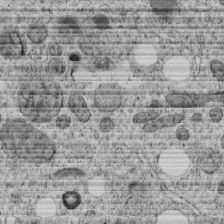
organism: C. elegans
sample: C. elegans embryo early stage